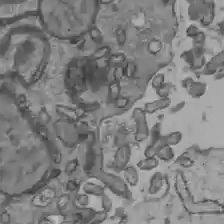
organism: C57BL Mouse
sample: Liver